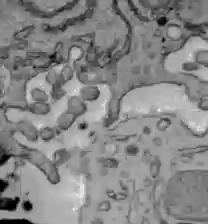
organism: C57BL Mouse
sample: Liver